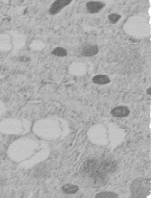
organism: C. elegans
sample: C. elegans embryo early stage